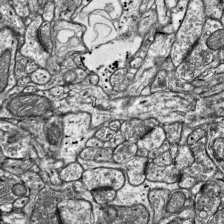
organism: Mouse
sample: Visual Cortex